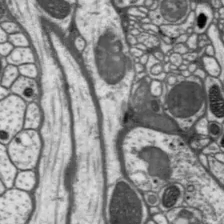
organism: Drosophila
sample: Protocerebral bridge